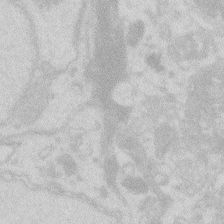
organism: Zebrafish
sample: Macrophage